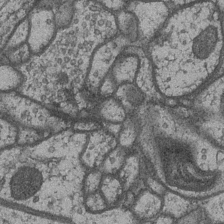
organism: Drosophila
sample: Optic medulla